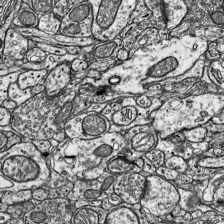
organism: Mouse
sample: Visual Cortex